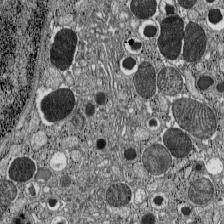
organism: C57BL Mouse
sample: Pancreatic islet